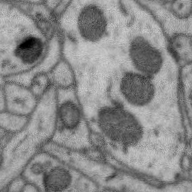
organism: Zebra finch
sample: Brain